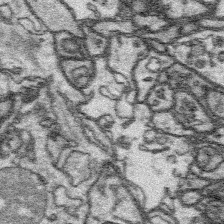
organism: Platynereis dumerilii